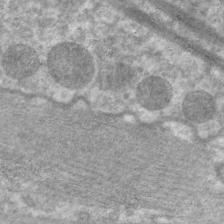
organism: C. elegans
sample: Pharynx